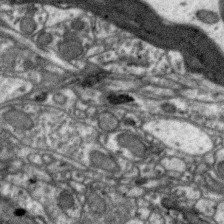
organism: Zebra finch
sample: Brain